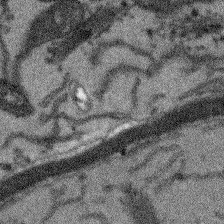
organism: Arabidopsis thaliana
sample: Root tip